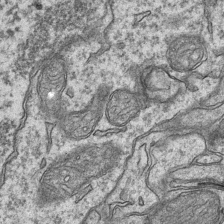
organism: Mouse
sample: CA1 Hippocampus